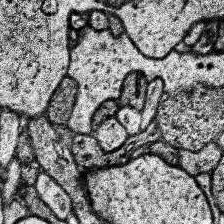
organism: Human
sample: Temporal Lobe